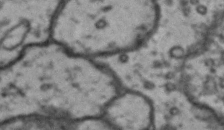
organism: Drosophila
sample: Brain